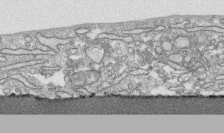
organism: Human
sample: CRL-1474